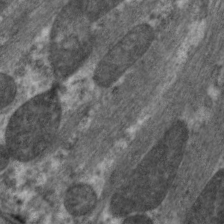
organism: C. elegans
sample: Pharynx